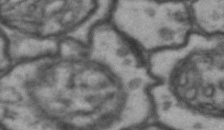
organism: Drosophila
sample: Brain